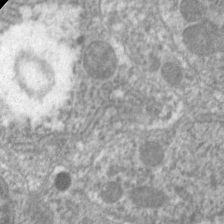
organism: C. elegans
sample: Pharynx